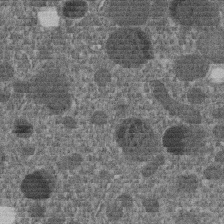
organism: C. elegans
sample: C. elegans embryo early stage